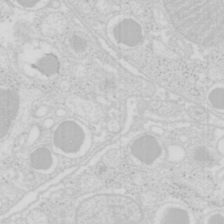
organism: Mouse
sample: Pancreas